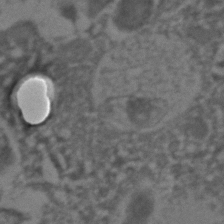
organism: C. elegans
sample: C. elegans embryo